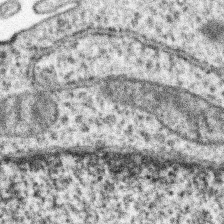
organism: Human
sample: HeLa cells